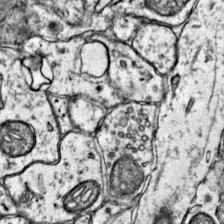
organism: Mouse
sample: Primary visual cortex